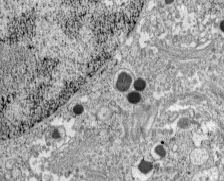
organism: C57BL Mouse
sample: Pancreatic islet